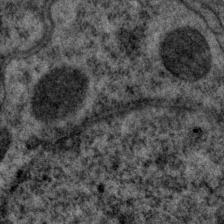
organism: P. pacificus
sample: Pharynx